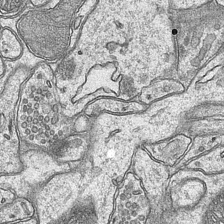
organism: Mouse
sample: CA1 Hippocampus